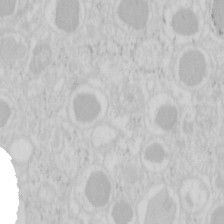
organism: Mouse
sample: Pancreas